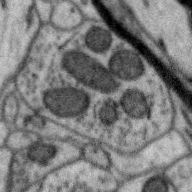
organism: Zebra finch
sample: Brain